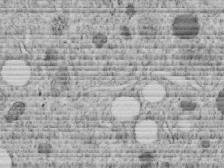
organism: C. elegans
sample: C. elegans embryo early stage